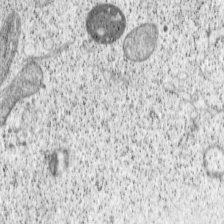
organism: African green monkey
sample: COS-7 cells